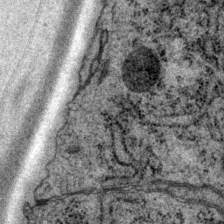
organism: P. pacificus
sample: Pharynx